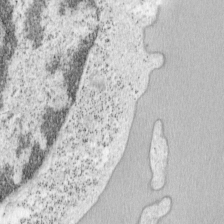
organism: Mouse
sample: OT-I killer T cells with ID8 ovarian cancer cells